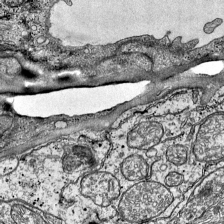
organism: Mouse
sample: Visual Cortex